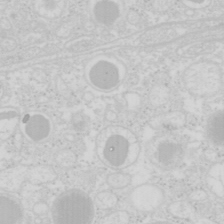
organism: Mouse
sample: Pancreas